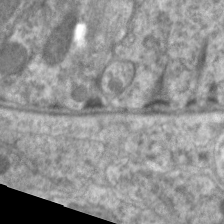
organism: C. elegans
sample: Pharynx